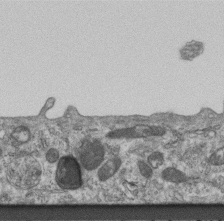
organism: Mouse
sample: Centriole in ependymal cells